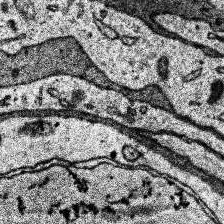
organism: Human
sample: Temporal Lobe